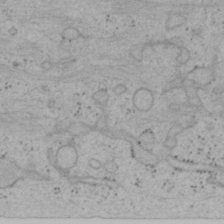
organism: Human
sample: HeLa cells